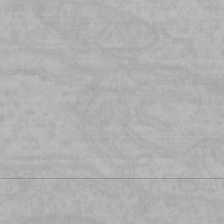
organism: Mouse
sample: Choroid plexus